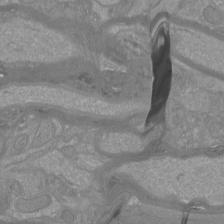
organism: Mouse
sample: Cortical neurons